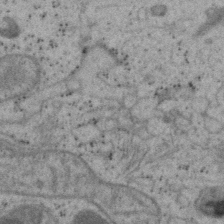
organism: Human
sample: HeLa cells